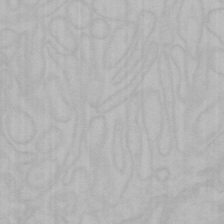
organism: Mouse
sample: Choroid plexus